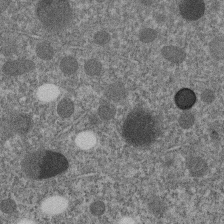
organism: C. elegans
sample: C. elegans embryo early stage